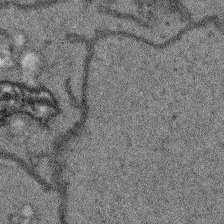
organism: Arabidopsis thaliana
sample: Root tip